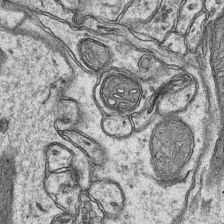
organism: Mouse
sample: CA1 Hippocampus